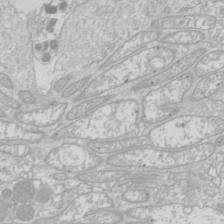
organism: Drosophila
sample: Cell division; meiosis; drosophila spermatocytes